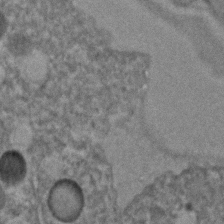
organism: C. elegans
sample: C. elegans embryo